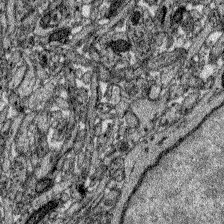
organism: Zebrafish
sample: Larval olfactory bulb